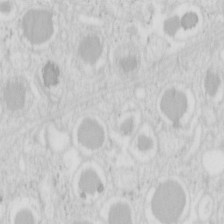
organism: Mouse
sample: Pancreas